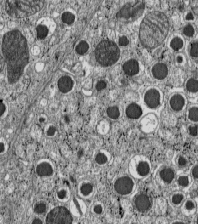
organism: C57BL Mouse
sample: Pancreatic islet